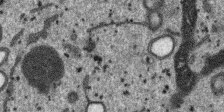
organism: Human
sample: Lung epithelial cells infected with SARS-CoV-2